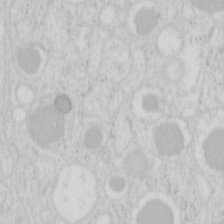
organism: Mouse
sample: Pancreas